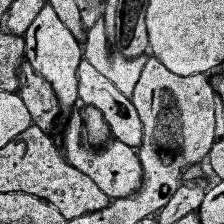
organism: Human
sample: Temporal Lobe